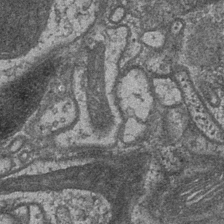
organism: Drosophila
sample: Optic medulla